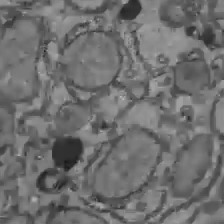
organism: C57BL Mouse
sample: Liver